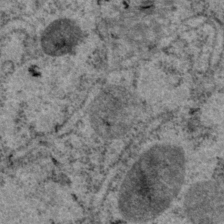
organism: P. pacificus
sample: Pharynx